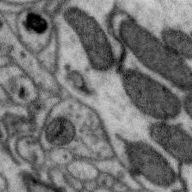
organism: Zebra finch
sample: Brain